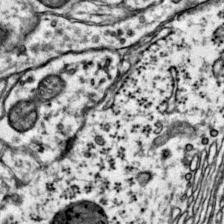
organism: Mouse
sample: Primary visual cortex